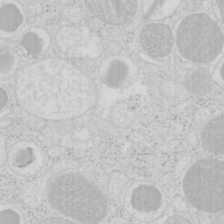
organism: Mouse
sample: Pancreas